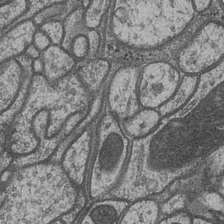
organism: Drosophila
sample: Optic medulla